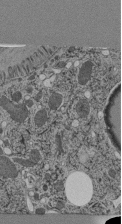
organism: C. elegans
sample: C. elegans pharynx